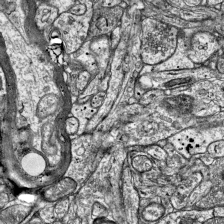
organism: Mouse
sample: Visual Cortex